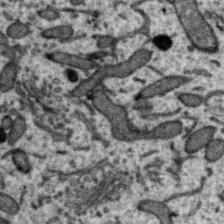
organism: Zebra finch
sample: Brain